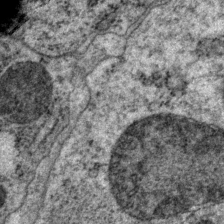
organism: P. pacificus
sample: Pharynx